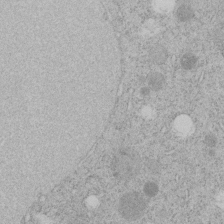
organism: C. elegans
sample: C. elegans embryo early stage